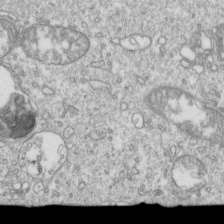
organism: Mouse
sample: Activated OT-1 CD8+ T cells